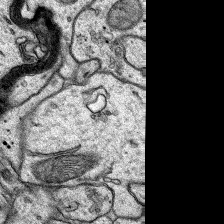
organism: Rat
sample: Hippocampus